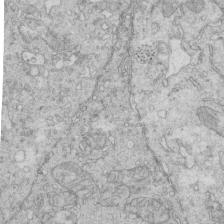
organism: Mouse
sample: Multiciliated cells